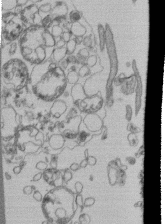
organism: Human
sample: Retinal organoid Rod and Cone cells